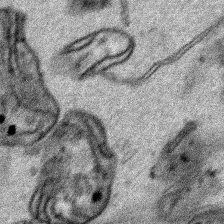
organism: Human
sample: Mitochondria in HCT116 cells